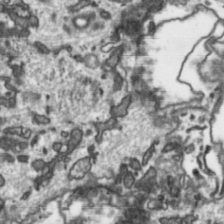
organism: Toxoplasma gondii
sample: Parasites in a vacuole inside a host cell